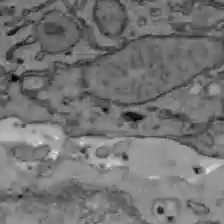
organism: C57BL Mouse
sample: Liver